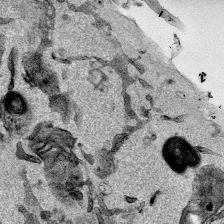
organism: Mouse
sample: Cancer cell death in ED-1 cells